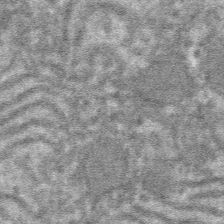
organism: Mouse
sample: Mouse hepatocytes